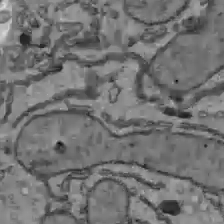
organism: C57BL Mouse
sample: Liver